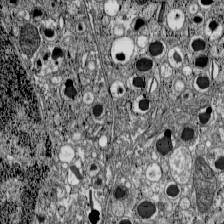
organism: C57BL Mouse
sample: Pancreatic islet